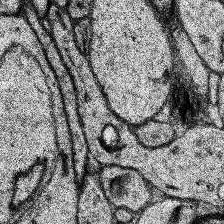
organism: Human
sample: Temporal Lobe